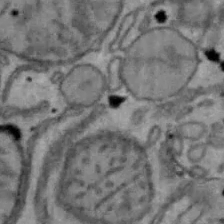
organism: Mouse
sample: Liver